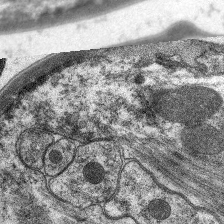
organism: C. elegans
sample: Pharynx